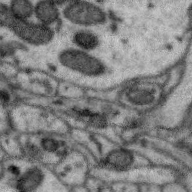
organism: Zebra finch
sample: Brain